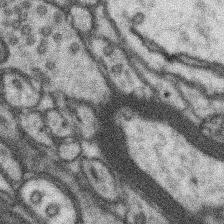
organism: Mouse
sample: Somatosensory cortex neuropil